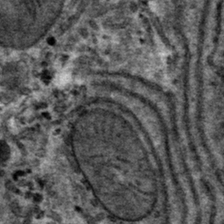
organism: Mouse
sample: Mouse hepatocytes